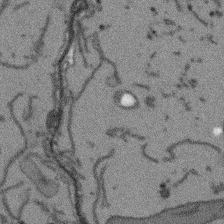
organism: Arabidopsis thaliana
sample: Root tip